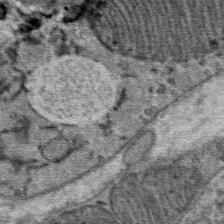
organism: Mouse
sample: Mouse Salivary gland